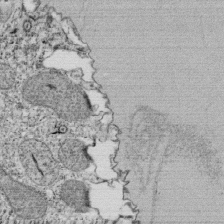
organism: Tetrahymena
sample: Cilia in tetrahymena